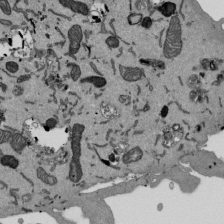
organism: Mouse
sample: ED-1 cell nuclei; centrioles